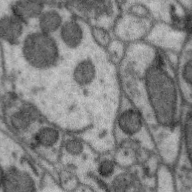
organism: Zebra finch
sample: Brain